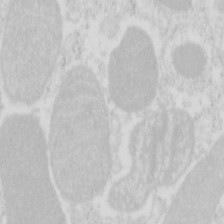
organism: Mouse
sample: Pancreas